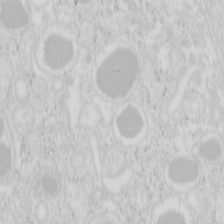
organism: Mouse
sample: Pancreas